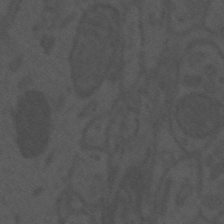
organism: Mouse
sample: Suprachiasmatic nucleus